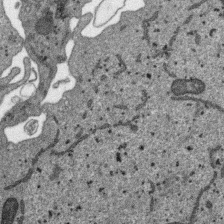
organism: Human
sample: Lung epithelial cells infected with SARS-CoV-2